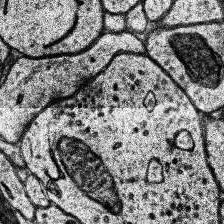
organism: Human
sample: Temporal Lobe